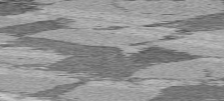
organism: C57BL Mouse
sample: Heart